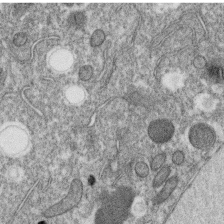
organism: C. elegans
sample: C. elegans oocyte; sperm cells